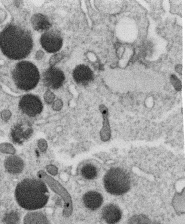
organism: C. elegans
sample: C. elegans oocyte; sperm cells